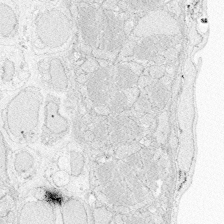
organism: Zebrafish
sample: Whole-Brain